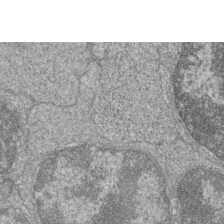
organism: Zebrafish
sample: Cilia; retinal pigment epithelium